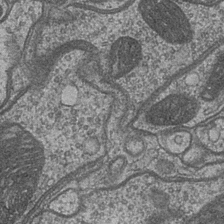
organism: Drosophila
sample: Optic medulla